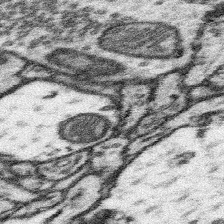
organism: Mouse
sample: Somatosensory cortex neuropil